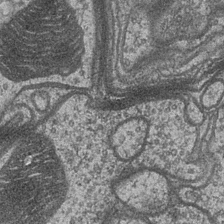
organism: Drosophila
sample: Optic medulla